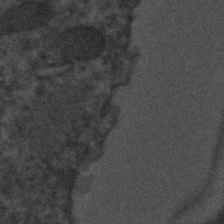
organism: C. elegans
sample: C. elegans embryo